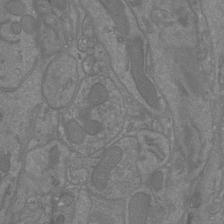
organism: Mouse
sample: Cortical neurons